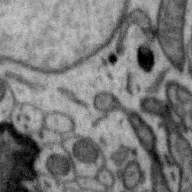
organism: Zebra finch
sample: Brain